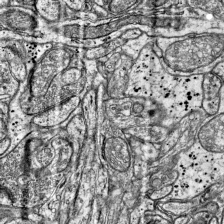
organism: Mouse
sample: Visual Cortex